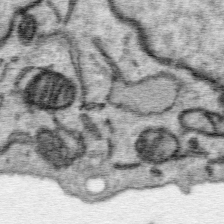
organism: Human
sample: HeLa cells